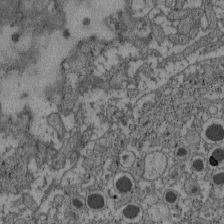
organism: C57BL Mouse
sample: Pancreatic islet